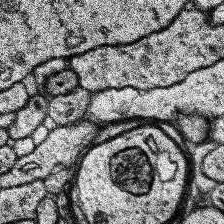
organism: Human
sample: Temporal Lobe